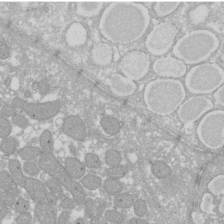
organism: Xenopus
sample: Cilia; centrioles in frog embryo cells